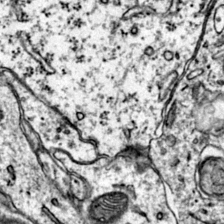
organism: Mouse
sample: Primary visual cortex